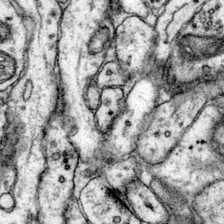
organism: Mouse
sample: Primary visual cortex